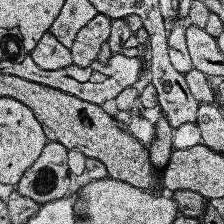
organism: Human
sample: Temporal Lobe